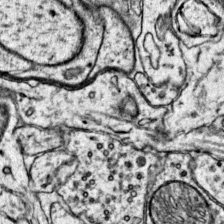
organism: Mouse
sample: Primary visual cortex